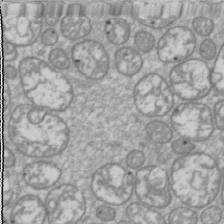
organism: Drosophila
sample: Cell division; meiosis; drosophila spermatocytes